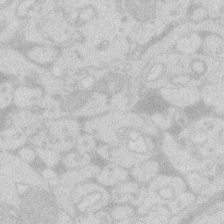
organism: Zebrafish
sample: Macrophage